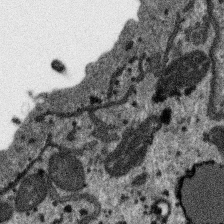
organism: Human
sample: Lung epithelial cells infected with SARS-CoV-2